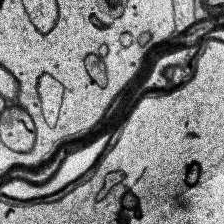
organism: Human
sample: Temporal Lobe